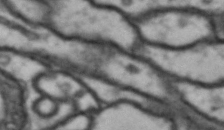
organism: Drosophila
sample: Brain